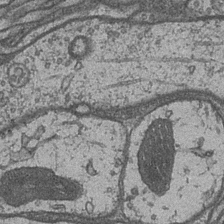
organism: Drosophila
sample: Optic medulla